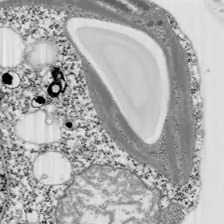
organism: Chlamydomonas reinhardtii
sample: Whole Cell